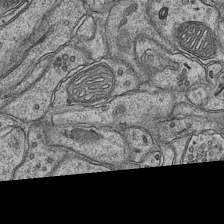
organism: Mouse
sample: CA1 Hippocampus